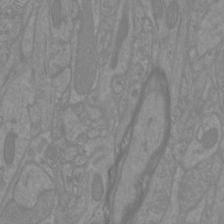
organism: Mouse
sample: Cortical neurons